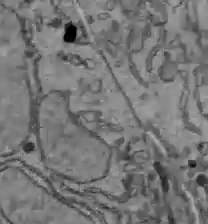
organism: C57BL Mouse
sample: Liver